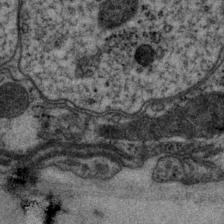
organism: P. pacificus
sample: Pharynx